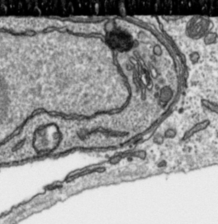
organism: Toxoplasma gondii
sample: Parasites in a vacuole inside a host cell